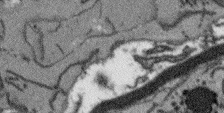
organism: Arabidopsis thaliana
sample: Root tip